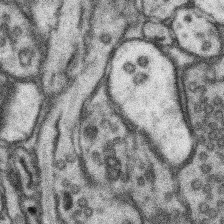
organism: Mouse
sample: Somatosensory cortex neuropil